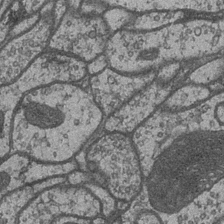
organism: Drosophila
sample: Optic medulla